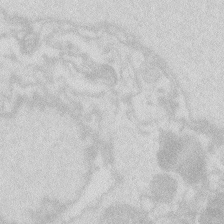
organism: Zebrafish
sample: Macrophage